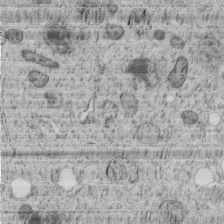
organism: C. elegans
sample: C. elegans embryo early stage